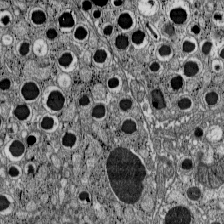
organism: C57BL Mouse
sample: Pancreatic islet